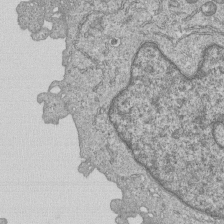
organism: Human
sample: MDA-MB-231 cells